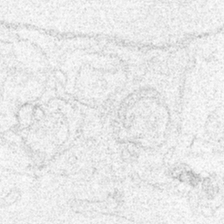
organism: Human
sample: Mitochondria in HCT116 cells